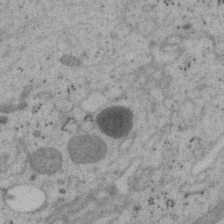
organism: Human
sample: HeLa cells